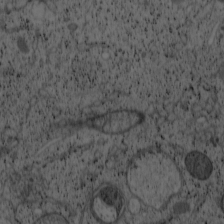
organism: African green monkey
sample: COS-7 cells